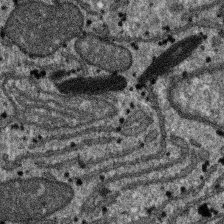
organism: Human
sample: Lung epithelial cells infected with SARS-CoV-2